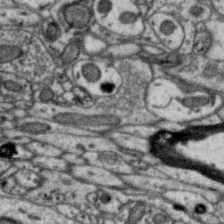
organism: Zebra finch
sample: Brain